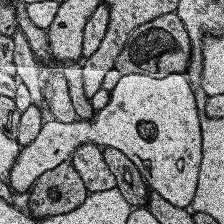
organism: Human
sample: Temporal Lobe